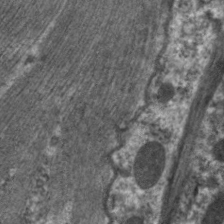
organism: C. elegans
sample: Pharynx